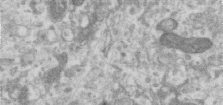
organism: Human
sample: Centriole in RPE cells